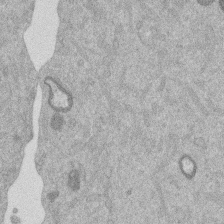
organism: Mouse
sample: Dividing mouse embryo 1 cell stage